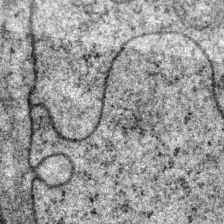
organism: P. pacificus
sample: Pharynx